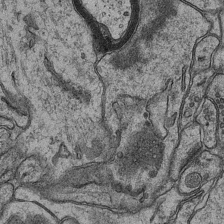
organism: Mouse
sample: CA1 Hippocampus